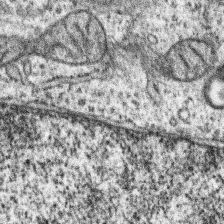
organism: Human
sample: HeLa cells